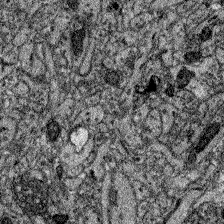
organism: Zebrafish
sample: Larval olfactory bulb